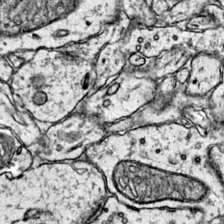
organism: Mouse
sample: Primary visual cortex